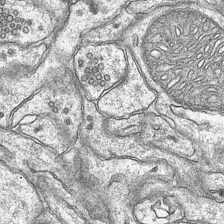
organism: Mouse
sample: CA1 Hippocampus